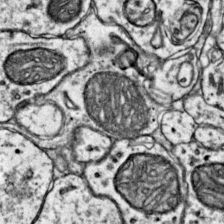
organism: Mouse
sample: Primary visual cortex